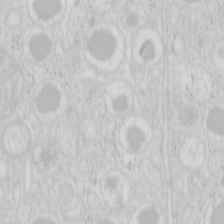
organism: Mouse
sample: Pancreas